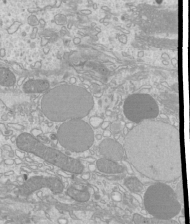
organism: Mouse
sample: Cilia; mouse epididymis